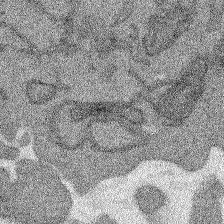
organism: Human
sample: HeLa cells